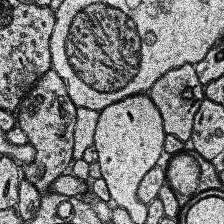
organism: Human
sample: Temporal Lobe